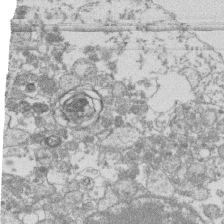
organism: Human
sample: HeLa cell HIV synapse